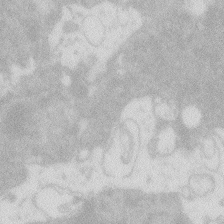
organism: Zebrafish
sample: Macrophage